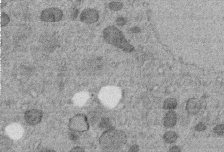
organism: C. elegans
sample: C. elegans embryo early stage